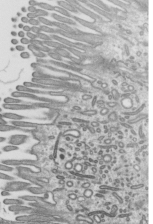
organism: Mouse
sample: Mouse epididymis efferent ductule cilia